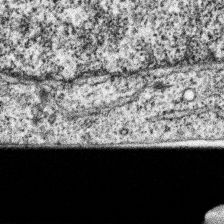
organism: Human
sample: HeLa cells